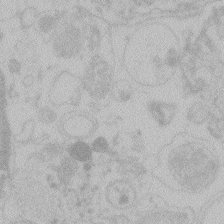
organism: Zebrafish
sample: Macrophage infected with Toxoplasma gondii